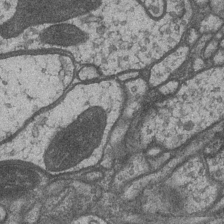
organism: Drosophila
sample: Optic medulla